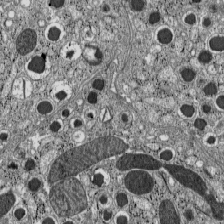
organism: C57BL Mouse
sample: Pancreatic islet